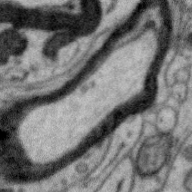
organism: Zebra finch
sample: Brain